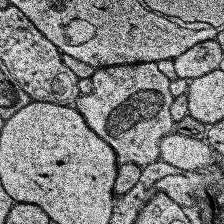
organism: Human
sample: Temporal Lobe